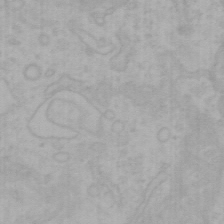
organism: Mouse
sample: Choroid plexus